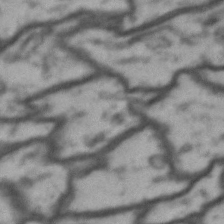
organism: Drosophila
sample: Brain